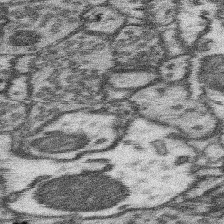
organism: Mouse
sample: Somatosensory cortex neuropil